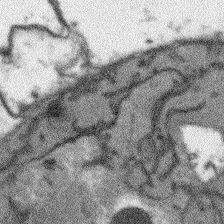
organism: Arabidopsis thaliana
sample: Root tip